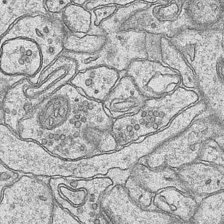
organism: Mouse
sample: CA1 Hippocampus